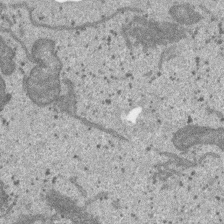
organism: Human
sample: Lung epithelial cells infected with SARS-CoV-2